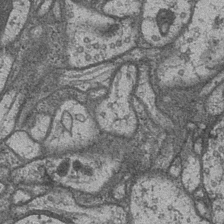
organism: Drosophila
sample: Optic medulla